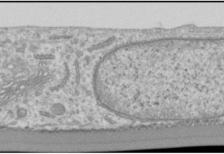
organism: Human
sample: Cilia; basal body in RPE cells